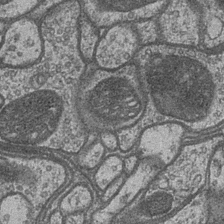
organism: Drosophila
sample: Optic medulla